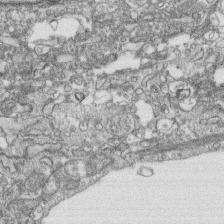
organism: Human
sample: CRL-1474